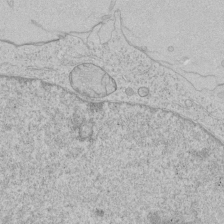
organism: Human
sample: Mitochondria in HCT116 cells